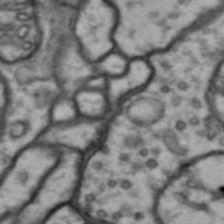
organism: Drosophila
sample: Brain